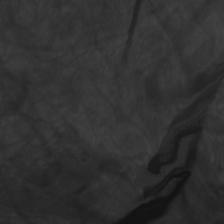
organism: Mouse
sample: Cortical neurons